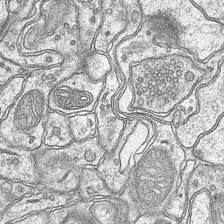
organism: Mouse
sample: CA1 Hippocampus